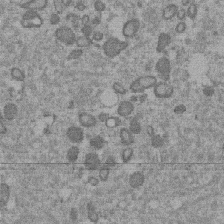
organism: Mouse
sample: Dividing mouse embryo 1 cell stage